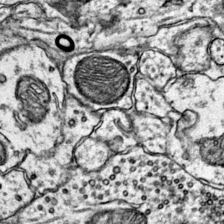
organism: Mouse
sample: Primary visual cortex